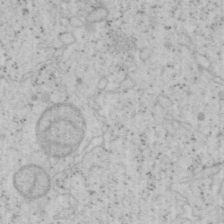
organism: Human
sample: HeLa cells